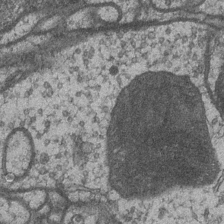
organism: Drosophila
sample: Optic medulla